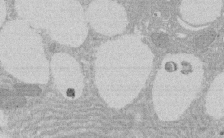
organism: Rat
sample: Salivary granule